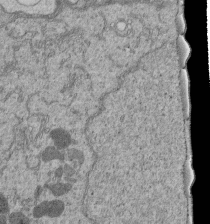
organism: Human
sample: Retinal organoid Rod and Cone cells